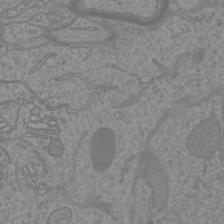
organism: Mouse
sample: Cortical neurons